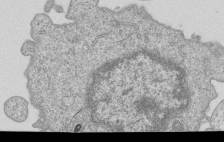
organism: Human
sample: MDA-MB-231 cells